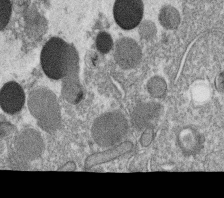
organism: C. elegans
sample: C. elegans oocyte; sperm cells